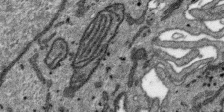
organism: Human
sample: Lung epithelial cells, uninfected (mock) control